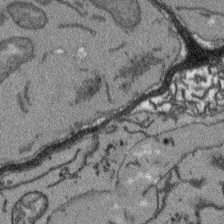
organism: Arabidopsis thaliana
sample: Root tip